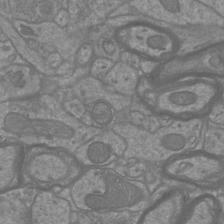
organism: Mouse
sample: Cortical neurons